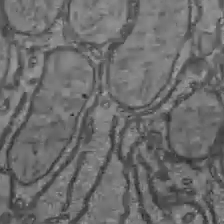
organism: C57BL Mouse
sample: Liver